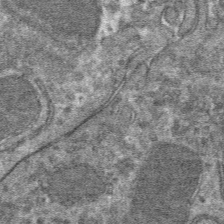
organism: Mouse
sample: Mouse hepatocytes